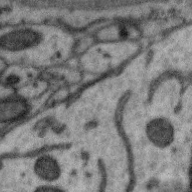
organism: Zebra finch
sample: Brain